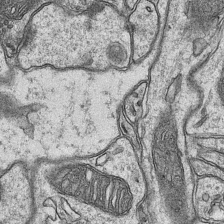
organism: Mouse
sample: CA1 Hippocampus